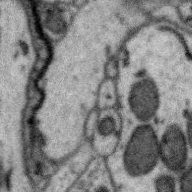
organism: Zebra finch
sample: Brain